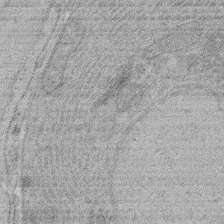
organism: Rat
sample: Salivary granule